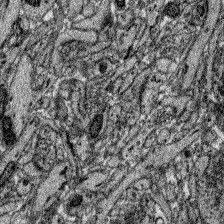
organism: Zebrafish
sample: Larval olfactory bulb